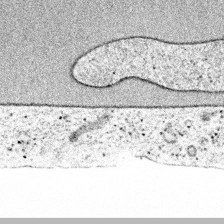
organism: Human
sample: HeLa cells